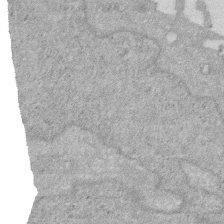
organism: Human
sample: HIV infected U937 cells